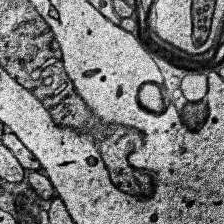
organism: Human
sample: Temporal Lobe